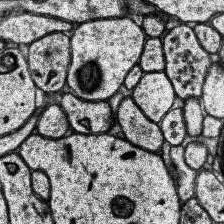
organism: Human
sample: Temporal Lobe